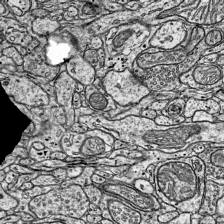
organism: Mouse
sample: Visual Cortex